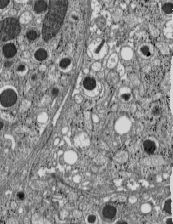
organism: C57BL Mouse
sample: Pancreatic islet